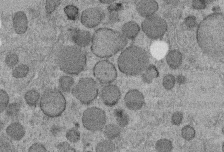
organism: C. elegans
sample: C. elegans embryo early stage